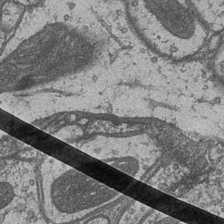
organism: Drosophila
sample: Optic medulla